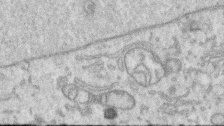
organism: Human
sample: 1205lu cells